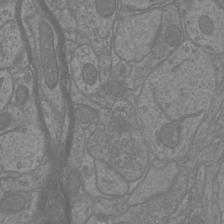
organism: Mouse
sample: Cortical neurons